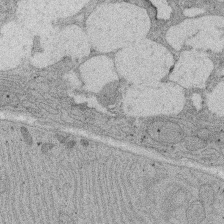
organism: Rat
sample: Salivary granule